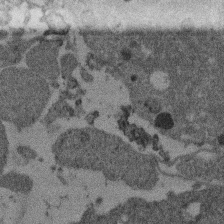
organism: Mouse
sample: Dividing mouse embryo 1 cell stage